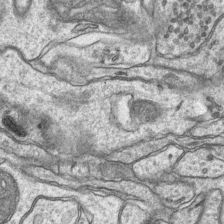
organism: Mouse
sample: CA1 Hippocampus